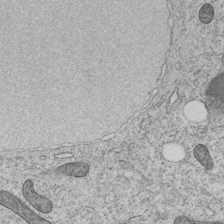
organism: C. elegans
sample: C. elegans embryo early stage